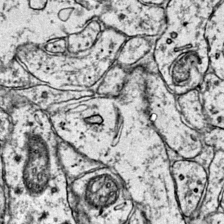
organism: Mouse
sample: Primary visual cortex